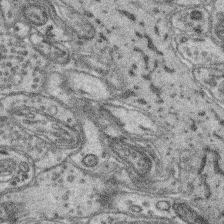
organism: Mouse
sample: Retina